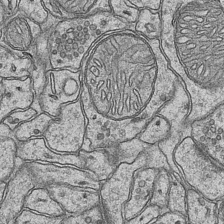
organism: Mouse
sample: CA1 Hippocampus